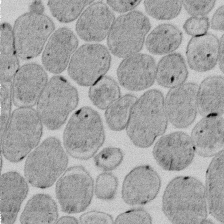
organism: E. coli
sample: Bacterial nucleoid